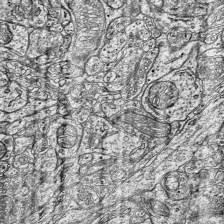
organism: Mouse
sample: Visual Cortex